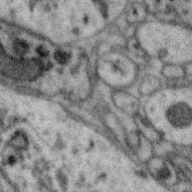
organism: Zebra finch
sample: Brain